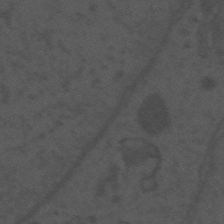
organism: Mouse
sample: Suprachiasmatic nucleus